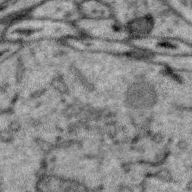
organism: Zebra finch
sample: Brain